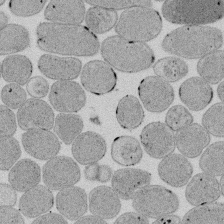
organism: E. coli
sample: Bacterial nucleoid